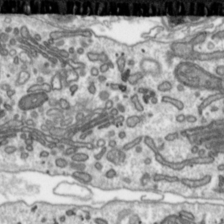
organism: Toxoplasma gondii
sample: Parasites in a vacuole inside a host cell